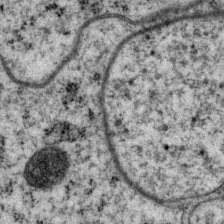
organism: P. pacificus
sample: Pharynx